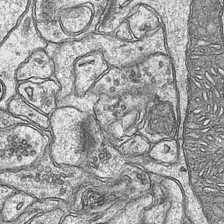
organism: Mouse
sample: CA1 Hippocampus